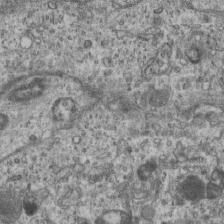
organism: Mouse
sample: Centriole in ependymal cells